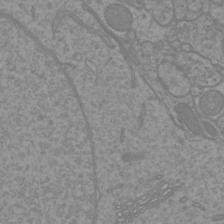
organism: Mouse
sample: Cortical neurons